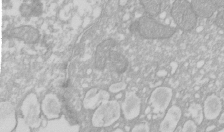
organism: Xenopus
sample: Cilia; centrioles in frog embryo cells